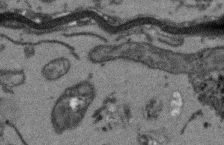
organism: Arabidopsis thaliana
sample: Root tip